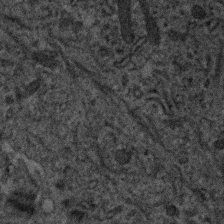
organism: Human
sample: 1205lu cells